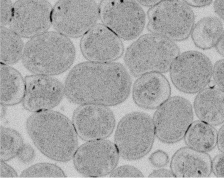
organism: E. coli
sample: Bacterial nucleoid